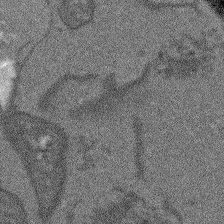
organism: Arabidopsis thaliana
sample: Root tip